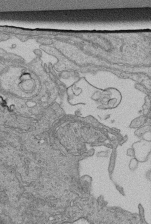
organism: Human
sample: Retinal organoid Rod and Cone cells